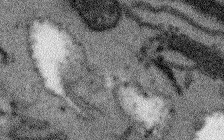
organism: Arabidopsis thaliana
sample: Root tip